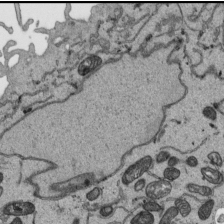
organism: Human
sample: Mitochondria in HCT116 cells